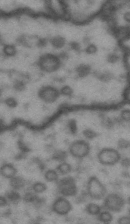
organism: Drosophila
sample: Brain